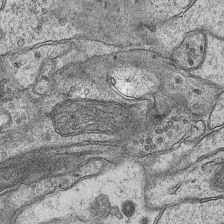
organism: Mouse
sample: CA1 Hippocampus